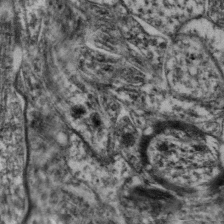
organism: Mouse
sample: Neocortex